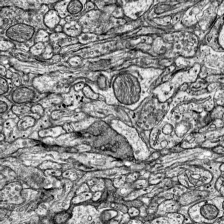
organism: Mouse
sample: Visual Cortex